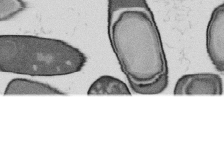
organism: B. subtilis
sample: Bacterial spore